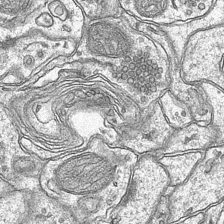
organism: Mouse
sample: CA1 Hippocampus